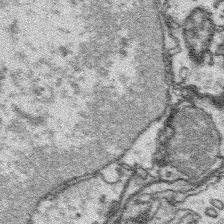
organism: Platynereis dumerilii